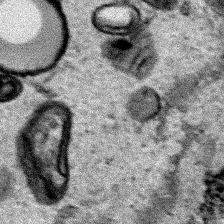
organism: Human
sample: Mitochondria in HCT116 cells